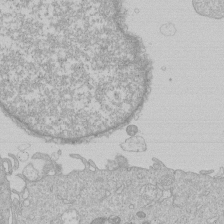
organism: Human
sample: Macrophage cells